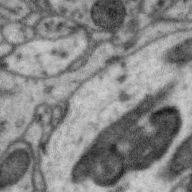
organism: Zebra finch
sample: Brain